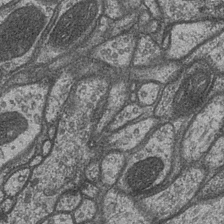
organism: Drosophila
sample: Optic medulla